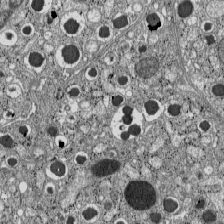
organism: C57BL Mouse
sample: Pancreatic islet